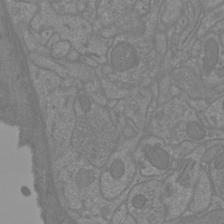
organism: Mouse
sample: Cortical neurons